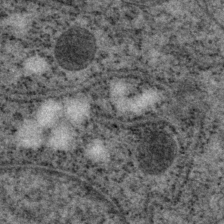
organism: P. pacificus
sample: Pharynx